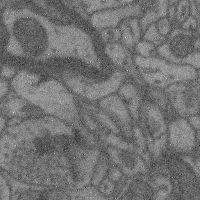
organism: Mouse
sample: Cerebral cortex